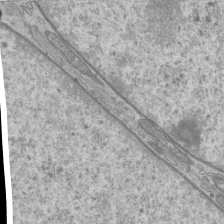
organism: Mouse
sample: Cilia; mouse epididymis